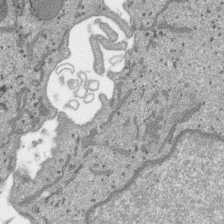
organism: Human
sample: Lung epithelial cells infected with SARS-CoV-2